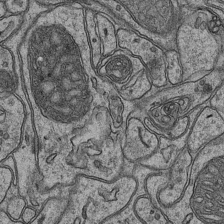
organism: Mouse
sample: CA1 Hippocampus